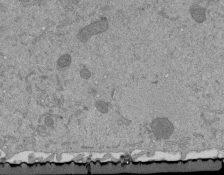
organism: Mouse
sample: ED-1 cell nuclei; centrioles